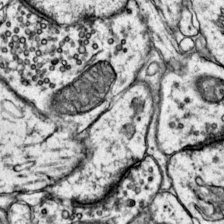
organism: Mouse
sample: Primary visual cortex